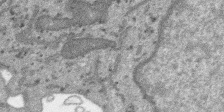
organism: Human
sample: Lung epithelial cells infected with SARS-CoV-2